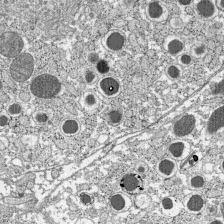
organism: C57BL Mouse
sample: Pancreatic islet